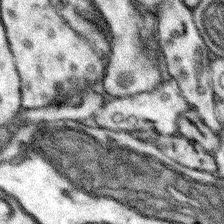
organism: Mouse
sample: Somatosensory cortex neuropil